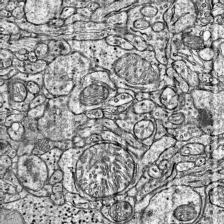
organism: Mouse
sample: Visual Cortex